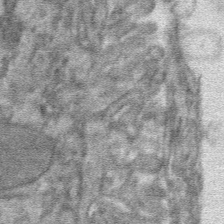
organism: Mouse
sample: Mouse hepatocytes